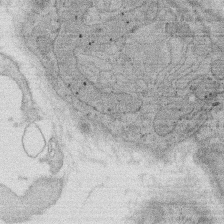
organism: Rat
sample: Salivary granule